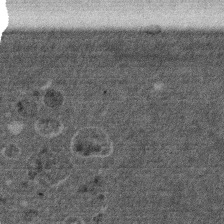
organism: Mouse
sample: Dividing mouse embryo 1 cell stage